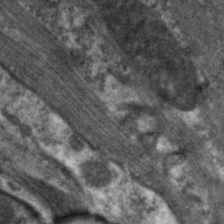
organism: C. elegans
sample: Pharynx